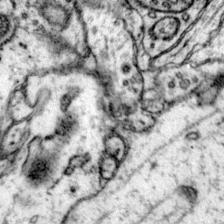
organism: Mouse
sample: Primary visual cortex